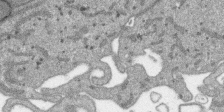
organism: Human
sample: Lung epithelial cells infected with SARS-CoV-2